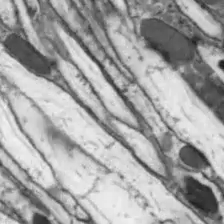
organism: Drosophila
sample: Optic lobe